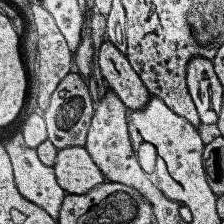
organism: Human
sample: Temporal Lobe